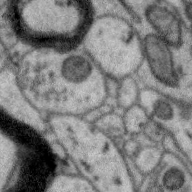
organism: Zebra finch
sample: Brain